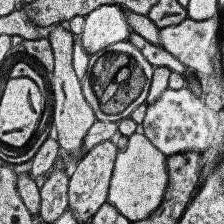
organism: Human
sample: Temporal Lobe